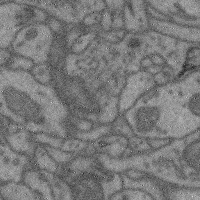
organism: Mouse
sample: Cerebral cortex